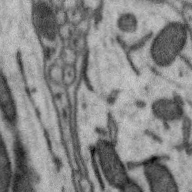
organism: Zebra finch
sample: Brain